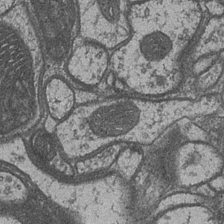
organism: Drosophila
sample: Optic medulla